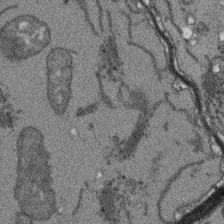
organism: Arabidopsis thaliana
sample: Root tip